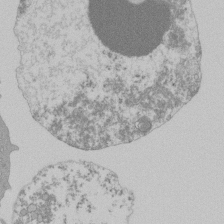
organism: Mouse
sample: Activated Pmel transgenic CD8+ T Cells